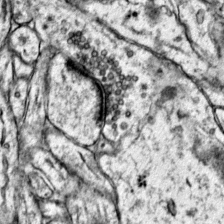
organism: Mouse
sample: Primary visual cortex